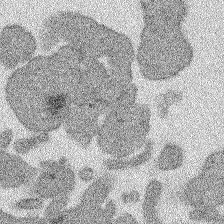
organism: Human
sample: HeLa cells